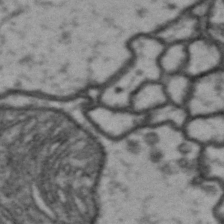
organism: Drosophila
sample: Brain